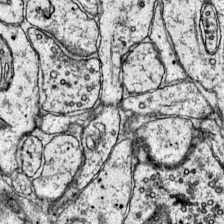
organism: Mouse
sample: Primary visual cortex